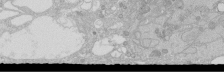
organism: Human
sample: Caco-2 cells